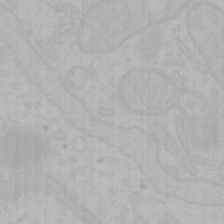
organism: Mouse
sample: Choroid plexus